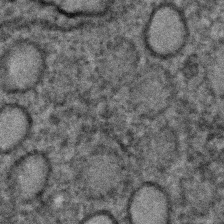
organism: C. elegans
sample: C. elegans embryo